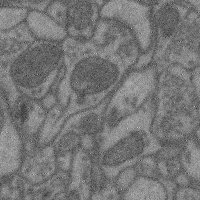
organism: Mouse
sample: Cerebral cortex